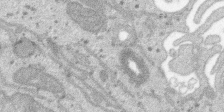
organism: Human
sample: Lung epithelial cells infected with SARS-CoV-2